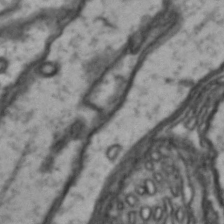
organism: Drosophila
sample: Brain